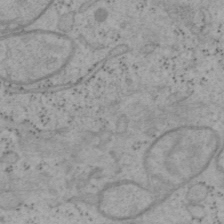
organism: Human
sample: HeLa cells